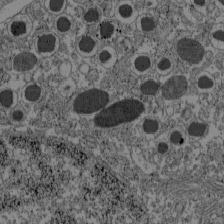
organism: C57BL Mouse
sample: Pancreatic islet